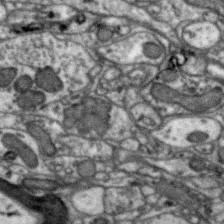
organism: Zebra finch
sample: Brain